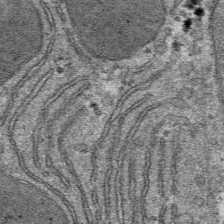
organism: Mouse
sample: Mouse hepatocytes